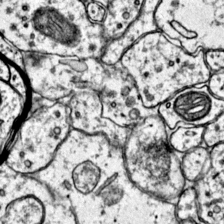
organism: Mouse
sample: Primary visual cortex